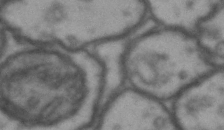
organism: Drosophila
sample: Brain